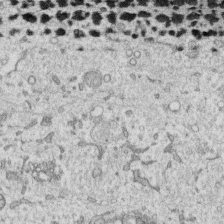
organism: Human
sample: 1205lu cells